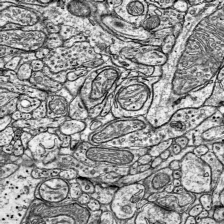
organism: Mouse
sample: Visual Cortex